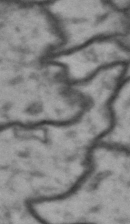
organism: Drosophila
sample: Brain